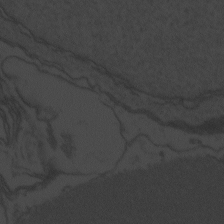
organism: Zebrafish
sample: Macrophage infected with Toxoplasma gondii